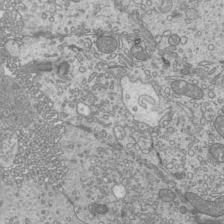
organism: Mouse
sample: Cilia; mouse epididymis